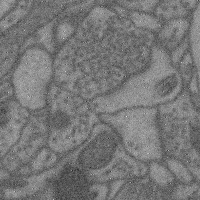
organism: Mouse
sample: Cerebral cortex